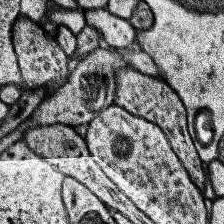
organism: Human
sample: Temporal Lobe